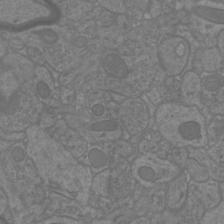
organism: Mouse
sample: Cortical neurons